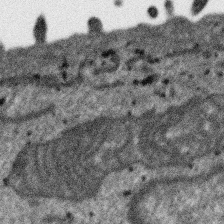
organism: Human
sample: Lung epithelial cells infected with SARS-CoV-2